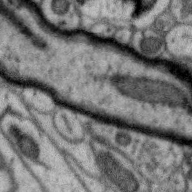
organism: Zebra finch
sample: Brain